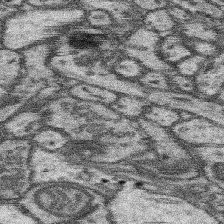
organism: Mouse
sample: Somatosensory cortex neuropil